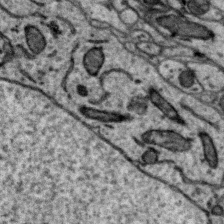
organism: Zebra finch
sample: Brain